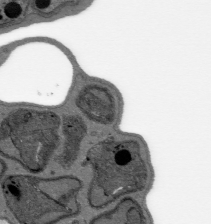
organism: Plasmodium falciparum